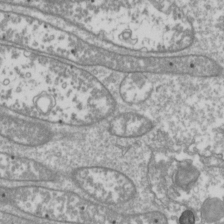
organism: Drosophila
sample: Cell division; meiosis; drosophila spermatocytes